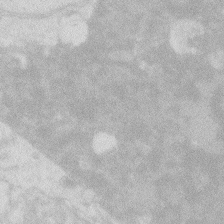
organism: Zebrafish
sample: Macrophage